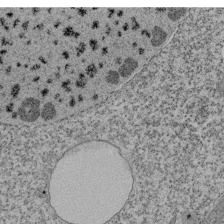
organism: Tetrahymena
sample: Cilia in tetrahymena